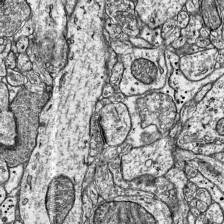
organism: Mouse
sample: Visual Cortex